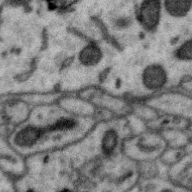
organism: Zebra finch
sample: Brain